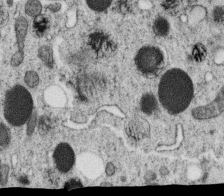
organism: C. elegans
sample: C. elegans oocyte; sperm cells